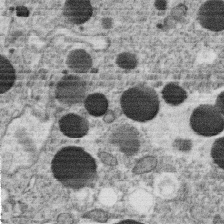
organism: C. elegans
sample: C. elegans oocyte; sperm cells